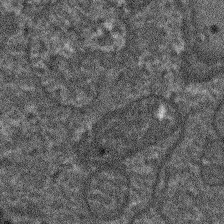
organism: Arabidopsis thaliana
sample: Root tip